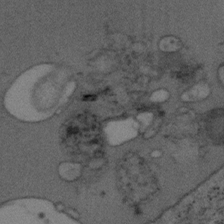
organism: Human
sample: HeLa cells